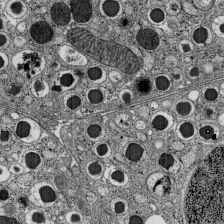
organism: C57BL Mouse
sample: Pancreatic islet